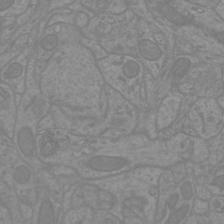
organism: Mouse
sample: Cortical neurons